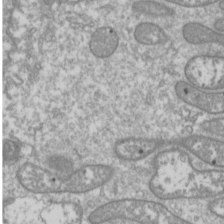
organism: Drosophila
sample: Cell division; meiosis; drosophila spermatocytes